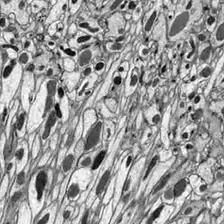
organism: Drosophila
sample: Optic lobe